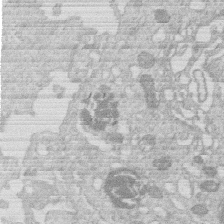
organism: Human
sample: Macrophage cells